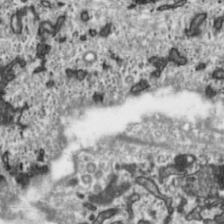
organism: Toxoplasma gondii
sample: Parasites in a vacuole inside a host cell